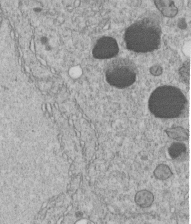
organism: C. elegans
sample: C. elegans embryo early stage